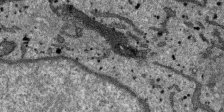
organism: Human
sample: Lung epithelial cells, uninfected (mock) control